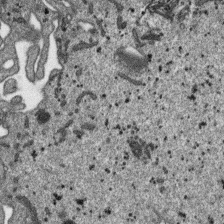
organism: Human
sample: Lung epithelial cells infected with SARS-CoV-2